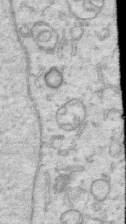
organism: Human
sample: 1205lu cells